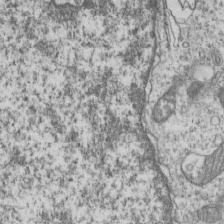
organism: Human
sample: MDA-MB-231 cells